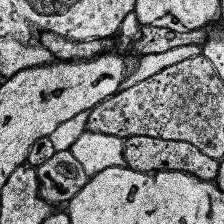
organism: Human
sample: Temporal Lobe